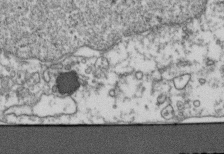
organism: Human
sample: Activated Jurkat CD4+ T cells